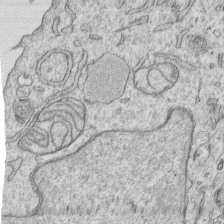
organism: Human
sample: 1205lu cells